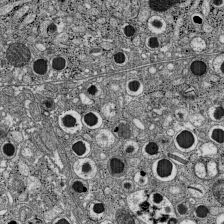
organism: C57BL Mouse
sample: Pancreatic islet